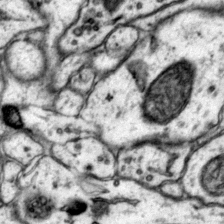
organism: Mouse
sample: Primary visual cortex